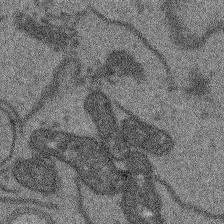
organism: Arabidopsis thaliana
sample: Root tip